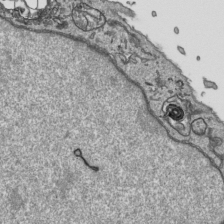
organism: Human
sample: Mitochondria in HCT116 cells